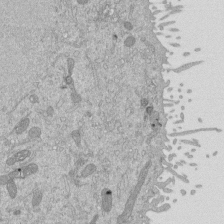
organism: Mouse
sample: ED-1 cell nuclei; centrioles